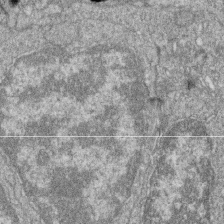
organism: Zebrafish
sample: Cilia; retinal pigment epithelium